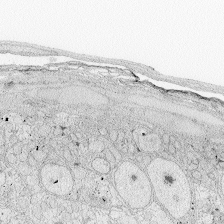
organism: Zebrafish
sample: Whole-Brain